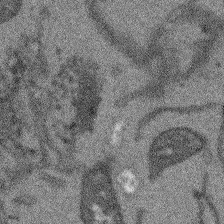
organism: Arabidopsis thaliana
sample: Root tip